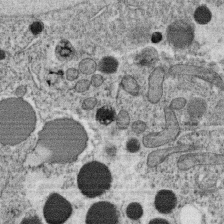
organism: C. elegans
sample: C. elegans oocyte; sperm cells